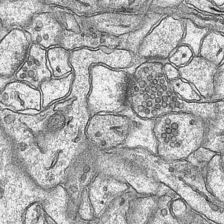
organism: Mouse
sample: CA1 Hippocampus